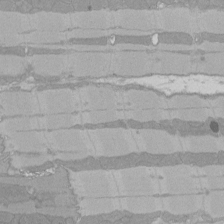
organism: Rat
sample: Left ventricle